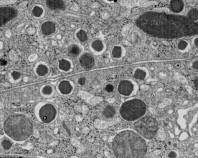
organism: C57BL Mouse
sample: Pancreatic islet